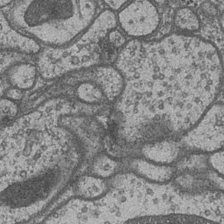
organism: Drosophila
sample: Optic medulla